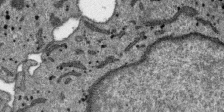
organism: Human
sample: Lung epithelial cells, uninfected (mock) control